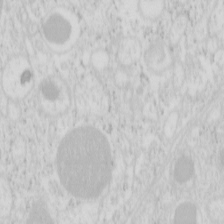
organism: Mouse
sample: Pancreas